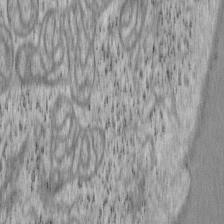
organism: Human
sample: HeLa cells